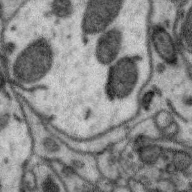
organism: Zebra finch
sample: Brain